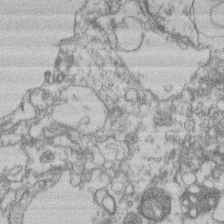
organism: Mouse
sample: T cell stromal cell synapse